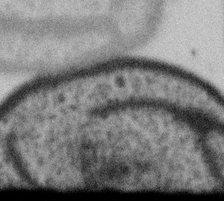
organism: Gemmata obscuriglobus